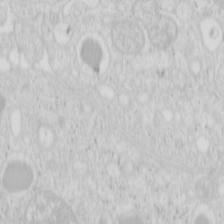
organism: Mouse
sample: Pancreas